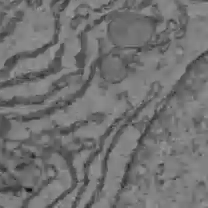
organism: C57BL Mouse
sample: Liver